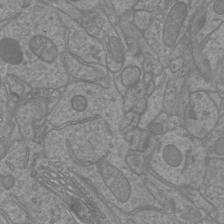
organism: Mouse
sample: Cortical neurons